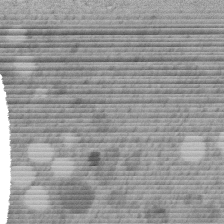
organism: C. elegans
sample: C. elegans embryo early stage